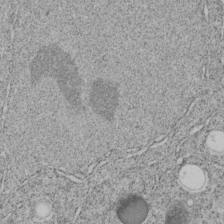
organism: C. elegans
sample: C. elegans embryo early stage